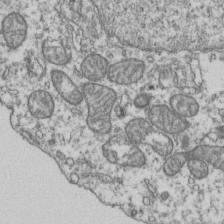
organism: Human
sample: Activated Jurkat CD4+ T cells